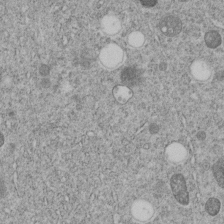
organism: C. elegans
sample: C. elegans embryo early stage